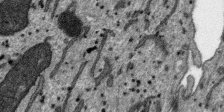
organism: Human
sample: Lung epithelial cells, uninfected (mock) control